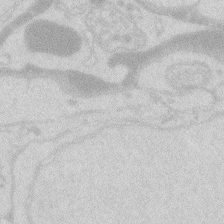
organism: Zebrafish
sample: Macrophage